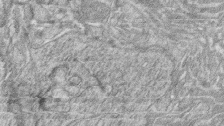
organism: Zebrafish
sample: synaptic ribbons in rod cells and cone cells